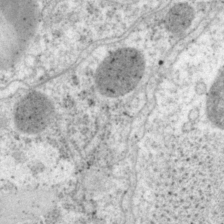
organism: P. pacificus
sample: Pharynx